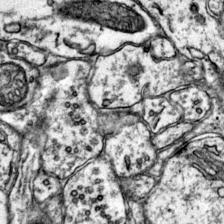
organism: Mouse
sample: Primary visual cortex